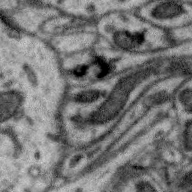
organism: Zebra finch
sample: Brain